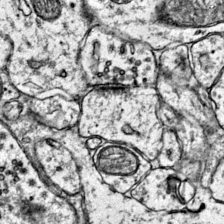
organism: Mouse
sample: Primary visual cortex